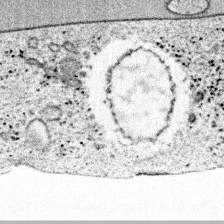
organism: Human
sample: HeLa cells